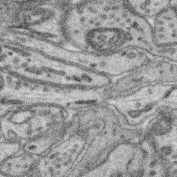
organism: Mouse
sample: Retina